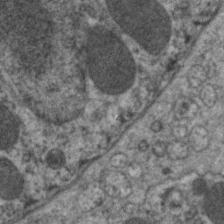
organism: C. elegans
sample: Pharynx